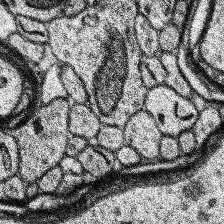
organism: Human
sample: Temporal Lobe